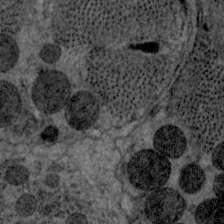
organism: C. elegans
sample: Pharynx